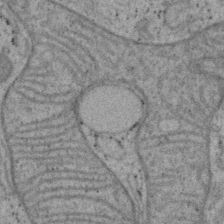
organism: Human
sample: HeLa cells